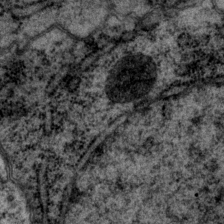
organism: P. pacificus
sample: Pharynx